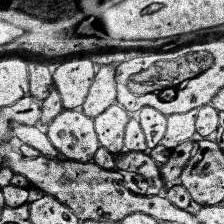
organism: Human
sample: Temporal Lobe